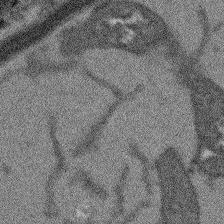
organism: Arabidopsis thaliana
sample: Root tip